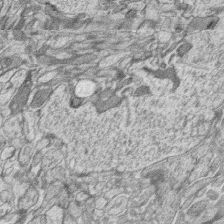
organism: Zebrafish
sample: synaptic ribbons in rod cells and cone cells